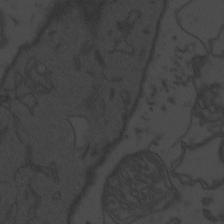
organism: Zebrafish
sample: Macrophage infected with Toxoplasma gondii